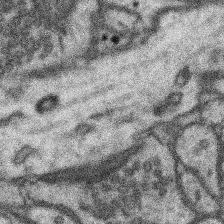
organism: Mouse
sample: Somatosensory cortex neuropil